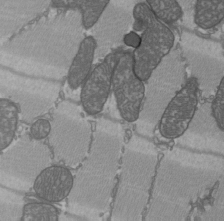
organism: C57BL Mouse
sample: Heart